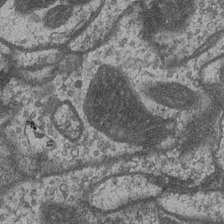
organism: Drosophila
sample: Optic medulla